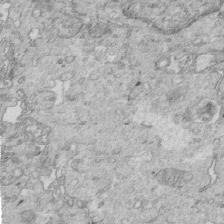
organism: Mouse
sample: Multiciliated cells